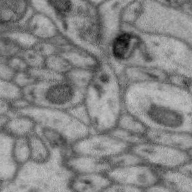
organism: Zebra finch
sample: Brain